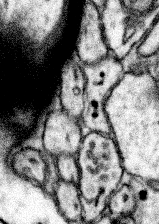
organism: Mouse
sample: Somatosensory cortex neuropil